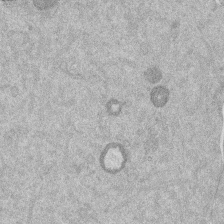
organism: Mouse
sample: Dividing mouse embryo 1 cell stage